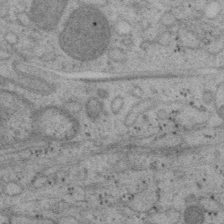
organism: Human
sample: HeLa cells